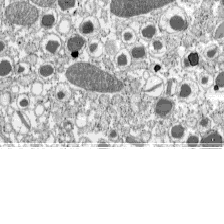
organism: C57BL Mouse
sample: Pancreatic islet